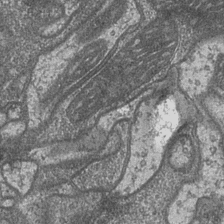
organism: Drosophila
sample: Optic medulla